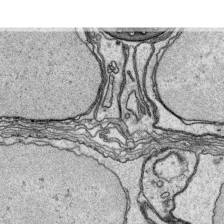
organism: Platynereis dumerilii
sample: Parapodia